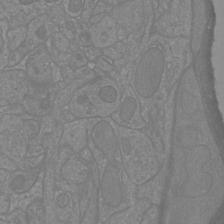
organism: Mouse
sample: Cortical neurons